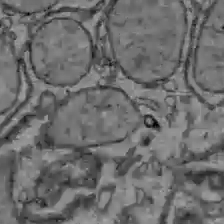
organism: C57BL Mouse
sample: Liver